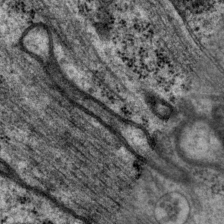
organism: P. pacificus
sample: Pharynx